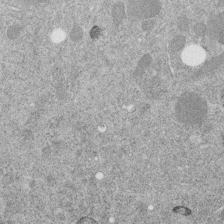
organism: C. elegans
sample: C. elegans embryo early stage